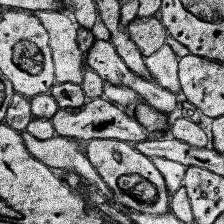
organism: Human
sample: Temporal Lobe